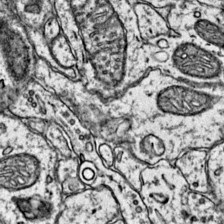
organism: Mouse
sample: Primary visual cortex